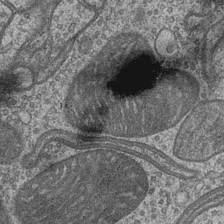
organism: Drosophila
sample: Optic medulla